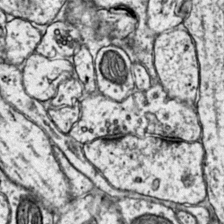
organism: Mouse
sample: Primary visual cortex